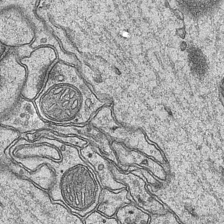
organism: Mouse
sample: CA1 Hippocampus